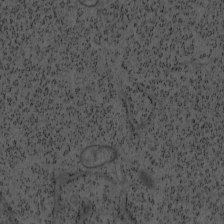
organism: Mouse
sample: OT-I killer T cells with ID8 ovarian cancer cells